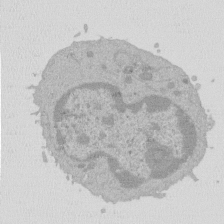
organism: Mouse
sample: Activated Pmel transgenic CD8+ T Cells